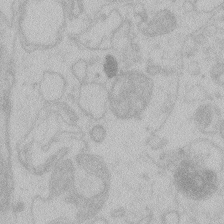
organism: Zebrafish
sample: Macrophage infected with Toxoplasma gondii